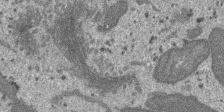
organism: Human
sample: Lung epithelial cells infected with SARS-CoV-2